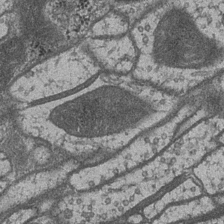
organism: Drosophila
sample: Optic medulla